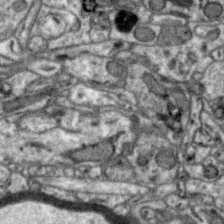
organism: Zebra finch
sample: Brain